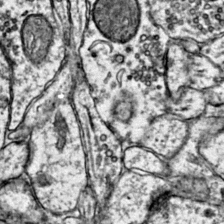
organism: Mouse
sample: Primary visual cortex